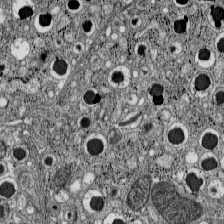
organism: C57BL Mouse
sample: Pancreatic islet